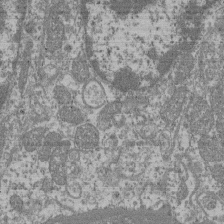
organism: Mouse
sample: Glomerulus